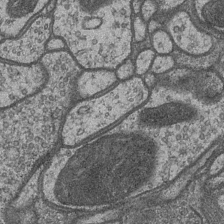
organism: Drosophila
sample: Optic medulla